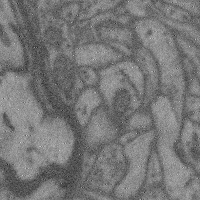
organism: Mouse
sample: Cerebral cortex